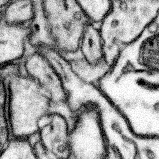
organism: Mouse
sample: Somatosensory cortex neuropil